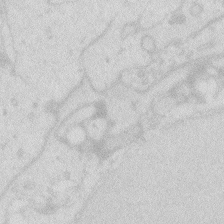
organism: Zebrafish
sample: Macrophage